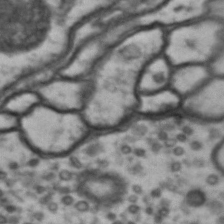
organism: Drosophila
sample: Brain